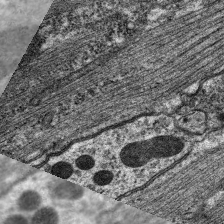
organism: C. elegans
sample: Pharynx